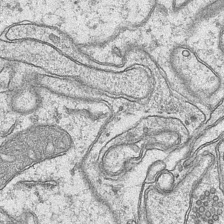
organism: Mouse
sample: CA1 Hippocampus